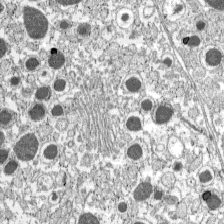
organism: C57BL Mouse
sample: Pancreatic islet